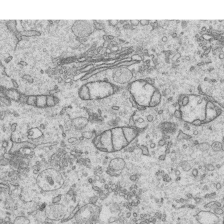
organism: Human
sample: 1205lu cells